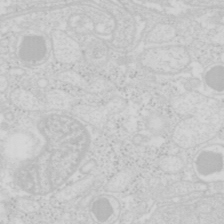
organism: Mouse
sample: Pancreas